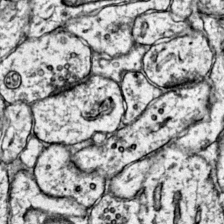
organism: Mouse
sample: Primary visual cortex